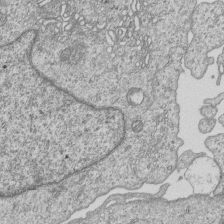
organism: Human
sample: MDA-MB-231 cells